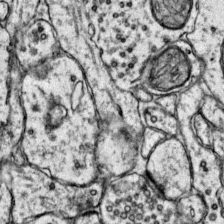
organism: Mouse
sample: Primary visual cortex